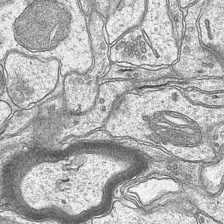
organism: Mouse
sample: CA1 Hippocampus